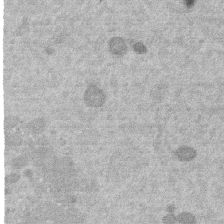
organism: Mouse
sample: Dividing mouse embryo 1 cell stage